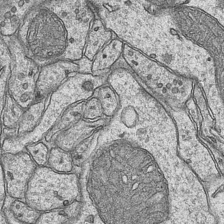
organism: Mouse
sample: CA1 Hippocampus